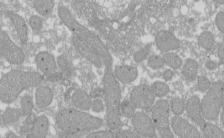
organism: Xenopus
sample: Cilia; centrioles in frog embryo cells